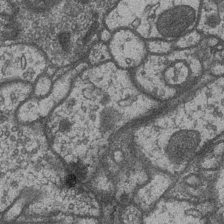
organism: Drosophila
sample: Optic medulla